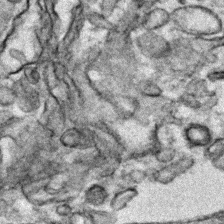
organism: Zebrafish